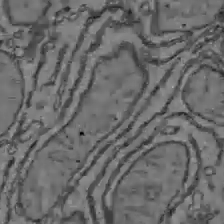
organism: C57BL Mouse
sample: Liver